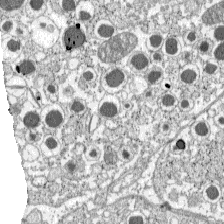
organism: C57BL Mouse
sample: Pancreatic islet